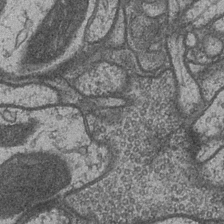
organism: Drosophila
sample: Optic medulla